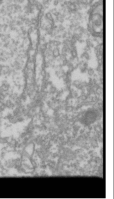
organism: Drosophila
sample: Cell division; meiosis; drosophila spermatocytes